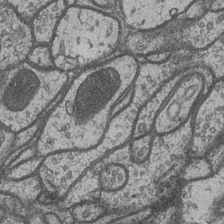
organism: Drosophila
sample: Optic medulla